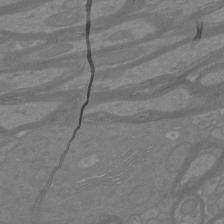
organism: Mouse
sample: Cortical neurons